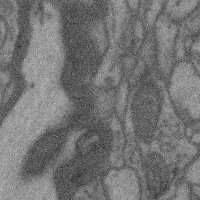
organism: Mouse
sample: Cerebral cortex